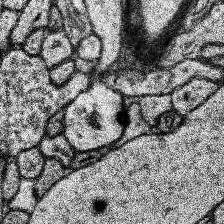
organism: Human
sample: Temporal Lobe